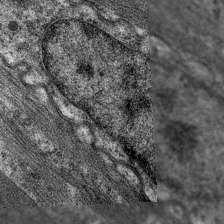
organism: C. elegans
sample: Pharynx